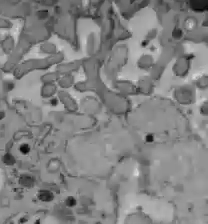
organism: C57BL Mouse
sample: Liver